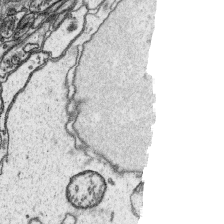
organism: Platynereis dumerilii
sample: Parapodia